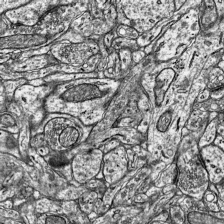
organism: Mouse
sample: Visual Cortex